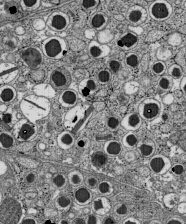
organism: C57BL Mouse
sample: Pancreatic islet